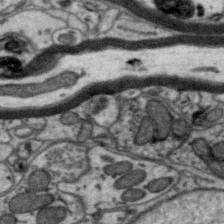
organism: Zebra finch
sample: Brain